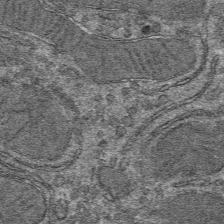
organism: Mouse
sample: Mouse hepatocytes